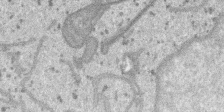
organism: Human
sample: Lung epithelial cells infected with SARS-CoV-2